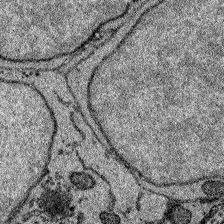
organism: Zebrafish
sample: Larval olfactory bulb